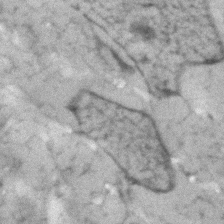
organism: Human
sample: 1205lu cells